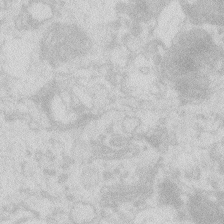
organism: Zebrafish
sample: Macrophage